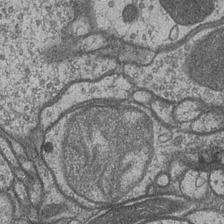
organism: Drosophila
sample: Optic medulla